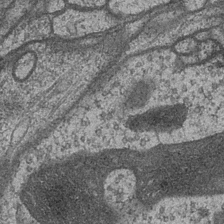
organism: Drosophila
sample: Optic medulla